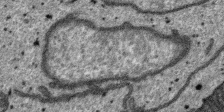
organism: Human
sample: Lung epithelial cells, uninfected (mock) control